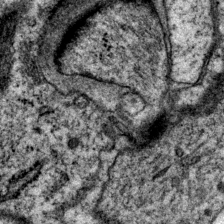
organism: P. pacificus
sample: Pharynx